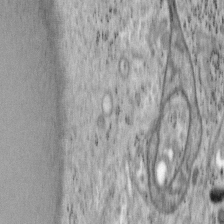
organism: Human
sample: HeLa cells